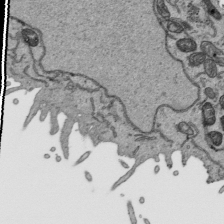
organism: Human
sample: Mitochondria in HCT116 cells